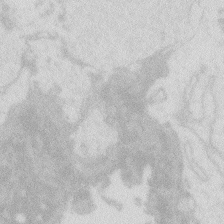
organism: Zebrafish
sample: Macrophage